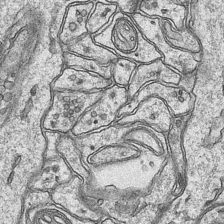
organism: Mouse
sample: CA1 Hippocampus